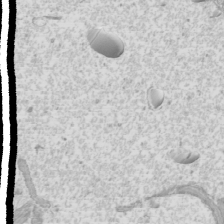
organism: Mouse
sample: Cilia; mouse epididymis